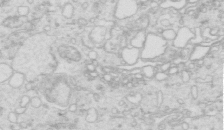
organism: Mouse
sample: Multiciliated cells